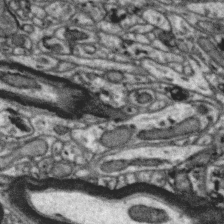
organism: Zebra finch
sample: Brain